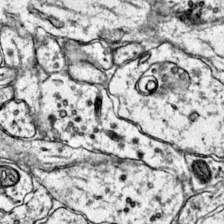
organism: Mouse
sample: Primary visual cortex